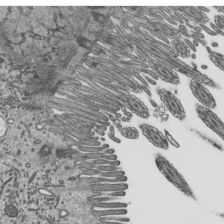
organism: Mouse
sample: Mouse epididymis efferent ductule cilia